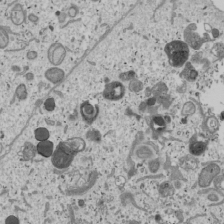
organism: Human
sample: Mitochondria in U2OS cells